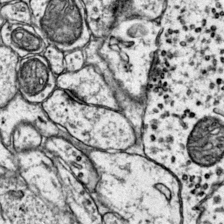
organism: Mouse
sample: Primary visual cortex